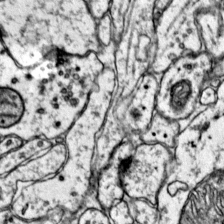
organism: Mouse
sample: Primary visual cortex